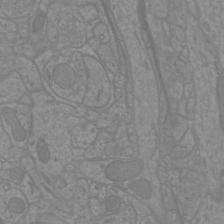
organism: Mouse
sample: Cortical neurons